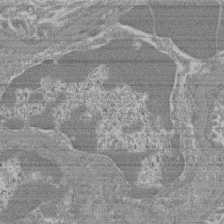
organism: Mouse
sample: Glomerulus